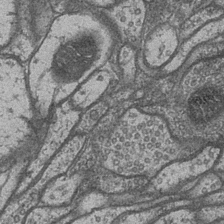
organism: Drosophila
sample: Optic medulla